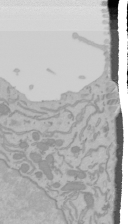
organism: Mouse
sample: Cancer cell death in ED-1 cells